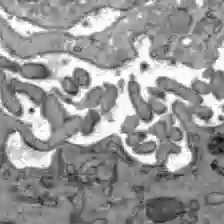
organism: C57BL Mouse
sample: Liver